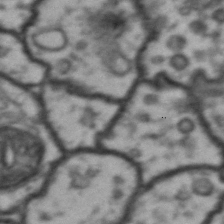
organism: Drosophila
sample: Brain